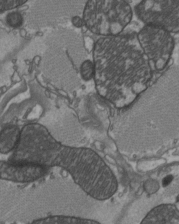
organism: C57BL Mouse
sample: Heart